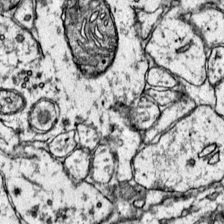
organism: Mouse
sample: Primary visual cortex